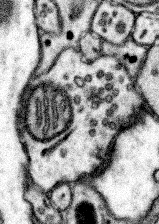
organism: Mouse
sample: Somatosensory cortex neuropil